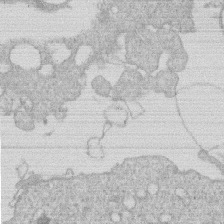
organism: Human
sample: Macrophage cells